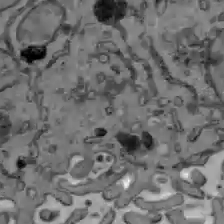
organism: C57BL Mouse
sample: Liver